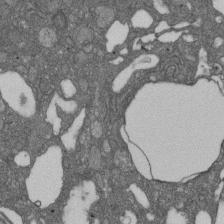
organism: Drosophila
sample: Nephrocyte